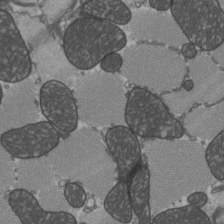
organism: C57BL Mouse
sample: Heart